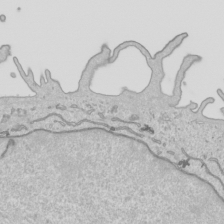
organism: Human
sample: Mitochondria in HCT116 cells